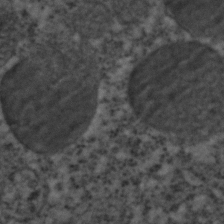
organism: C. elegans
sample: C. elegans embryo